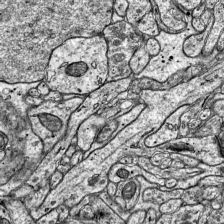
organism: Mouse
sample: Visual Cortex